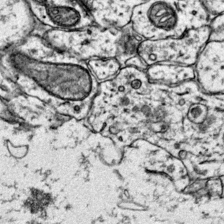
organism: Mouse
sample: Primary visual cortex